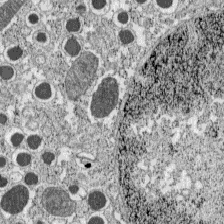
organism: C57BL Mouse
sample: Pancreatic islet